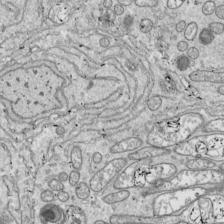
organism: Drosophila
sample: Cell division; meiosis; drosophila spermatocytes